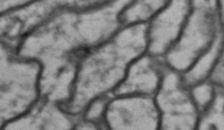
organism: Drosophila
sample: Brain